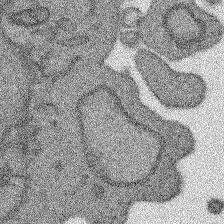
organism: Human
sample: HeLa cells